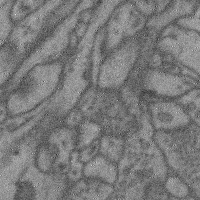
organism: Mouse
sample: Cerebral cortex